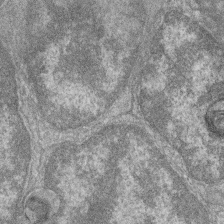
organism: Zebrafish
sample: Cilia; retinal pigment epithelium